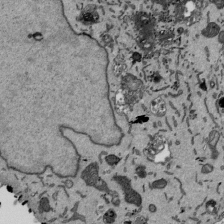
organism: Mouse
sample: ED-1 cell nuclei; centrioles